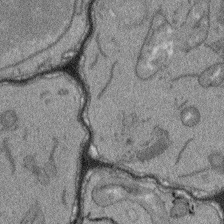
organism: Arabidopsis thaliana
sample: Root tip